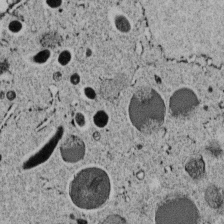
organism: C. elegans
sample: C. elegans embryo early stage